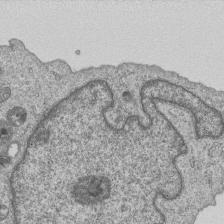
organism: Human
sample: MDA-MB-231 cells